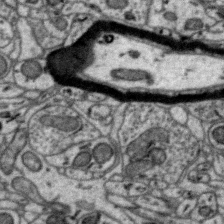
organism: Zebra finch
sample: Brain